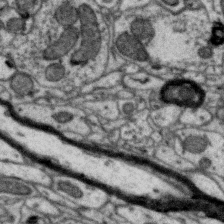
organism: Zebra finch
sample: Brain